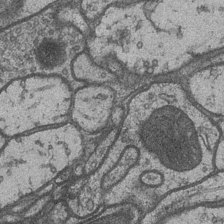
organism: Drosophila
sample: Optic medulla